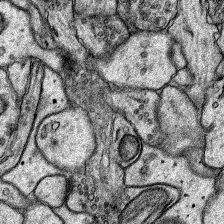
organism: Rat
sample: Hippocampus